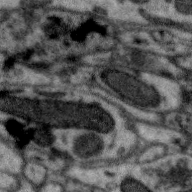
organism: Zebra finch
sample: Brain